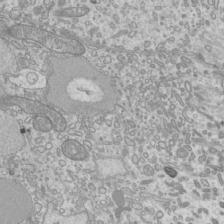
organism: Mouse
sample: Cilia; mouse epididymis